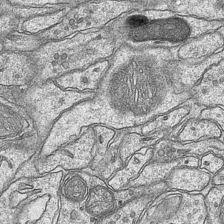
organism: Mouse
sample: CA1 Hippocampus